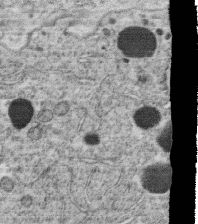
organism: C. elegans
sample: C. elegans oocyte; sperm cells